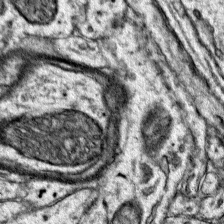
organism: Mouse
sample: Primary visual cortex